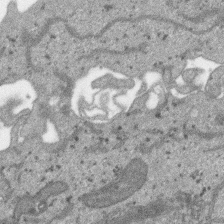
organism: Human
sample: Lung epithelial cells infected with SARS-CoV-2